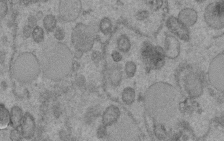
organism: C. elegans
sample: C. elegans embryo early stage